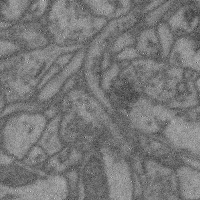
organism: Mouse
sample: Cerebral cortex